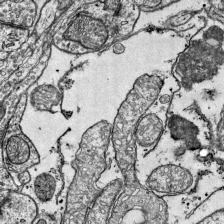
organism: Mouse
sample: Visual Cortex